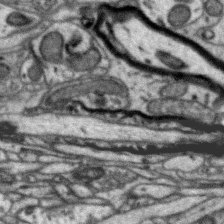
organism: Zebra finch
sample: Brain